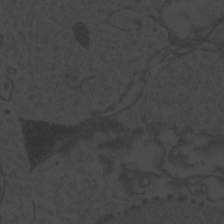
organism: Zebrafish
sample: Macrophage infected with Toxoplasma gondii